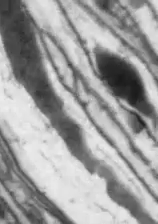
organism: Drosophila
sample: Optic lobe